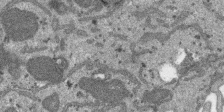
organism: Human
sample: Lung epithelial cells infected with SARS-CoV-2